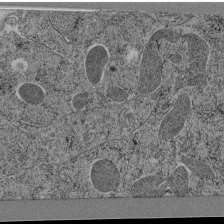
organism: C. elegans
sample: C. elegans pharynx